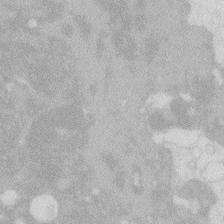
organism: Zebrafish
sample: Macrophage